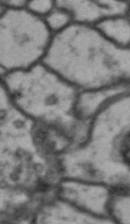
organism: Drosophila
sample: Brain